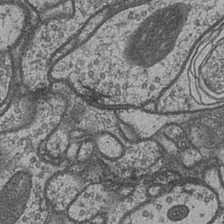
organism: Drosophila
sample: Optic medulla